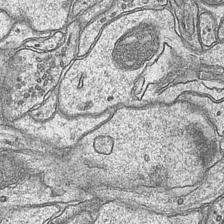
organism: Mouse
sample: CA1 Hippocampus